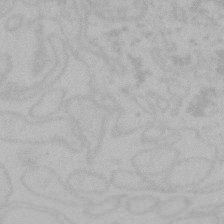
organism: Mouse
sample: Choroid plexus